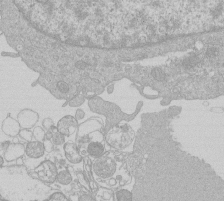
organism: Human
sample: Macrophage cells